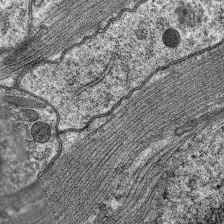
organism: C. elegans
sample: Pharynx